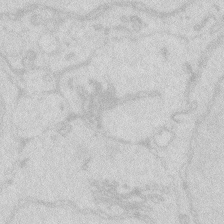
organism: Zebrafish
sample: Macrophage